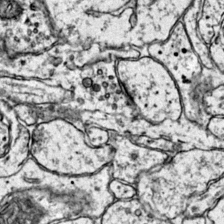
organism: Mouse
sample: Primary visual cortex